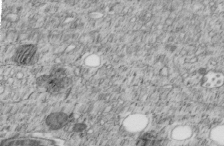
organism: C. elegans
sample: C. elegans embryo early stage